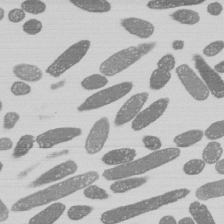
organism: E. coli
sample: Bacterial nucleoid